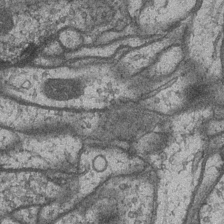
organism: Drosophila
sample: Optic medulla